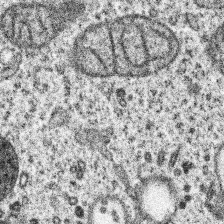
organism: Human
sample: HeLa cells